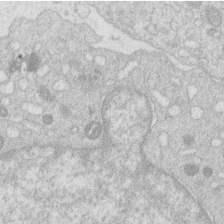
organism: Human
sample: Macrophage cells